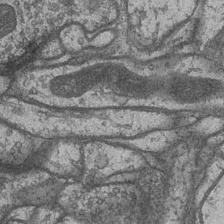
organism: Drosophila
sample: Optic medulla